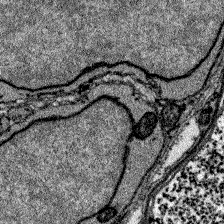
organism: Zebrafish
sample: Larval olfactory bulb